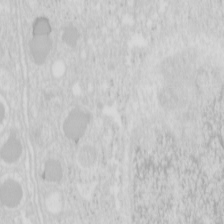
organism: Mouse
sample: Pancreas